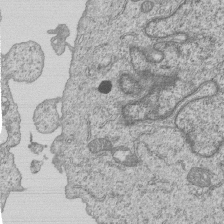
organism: Human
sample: MDA-MB-231 cells